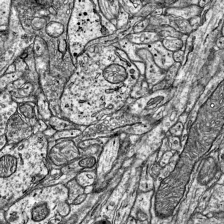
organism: Mouse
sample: Visual Cortex